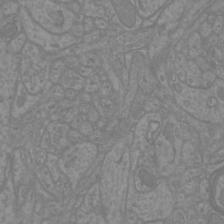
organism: Mouse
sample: Cortical neurons